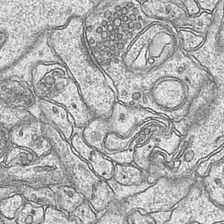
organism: Mouse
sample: CA1 Hippocampus